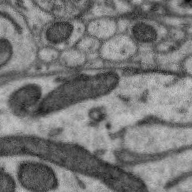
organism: Zebra finch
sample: Brain